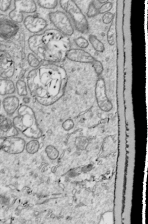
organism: Drosophila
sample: Cell division; meiosis; drosophila spermatocytes